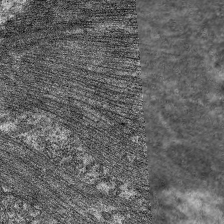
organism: C. elegans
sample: Pharynx